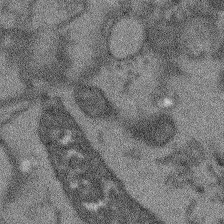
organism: Arabidopsis thaliana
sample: Root tip